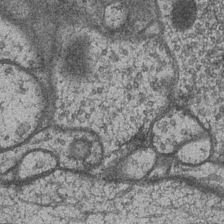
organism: Drosophila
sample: Optic medulla